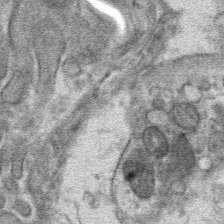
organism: Mouse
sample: Mouse hepatocytes